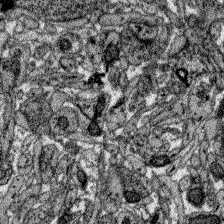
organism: Zebrafish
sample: Larval olfactory bulb